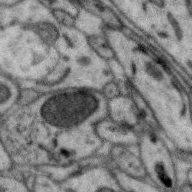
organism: Zebra finch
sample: Brain